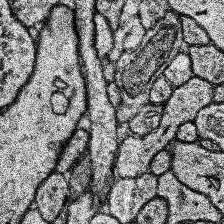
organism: Human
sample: Temporal Lobe